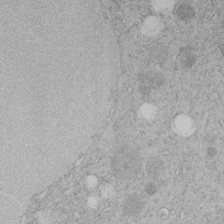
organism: C. elegans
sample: C. elegans embryo early stage